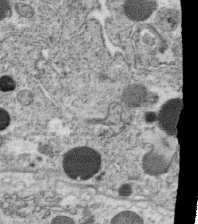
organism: C. elegans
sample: C. elegans oocyte; sperm cells